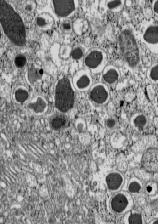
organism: C57BL Mouse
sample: Pancreatic islet